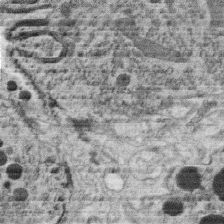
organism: C. elegans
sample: C. elegans oocyte; sperm cells